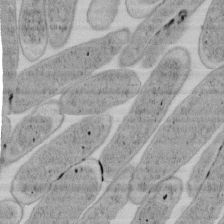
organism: E. coli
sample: Bacterial nucleoid